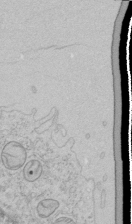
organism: Human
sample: Mitochondria in HCT116 cells